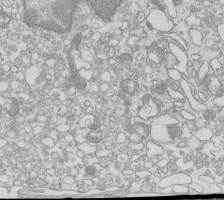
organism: Mouse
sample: Macrophages